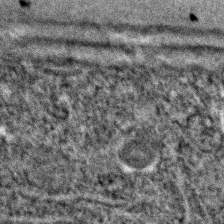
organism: C. elegans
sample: C. elegans embryo